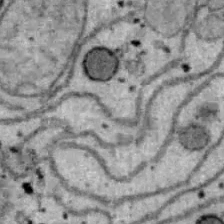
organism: Mouse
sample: Liver from an obese (ob/ob) mouse